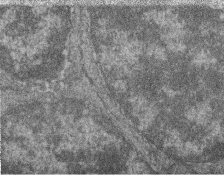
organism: Zebrafish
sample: Cilia; retinal pigment epithelium